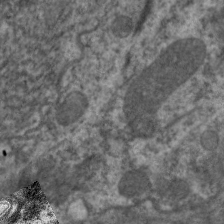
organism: C. elegans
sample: Pharynx